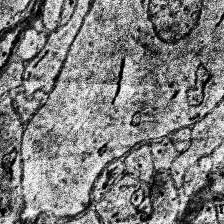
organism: Human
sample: Temporal Lobe